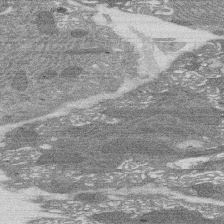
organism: Rat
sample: Salivary granule